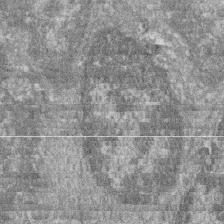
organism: Zebrafish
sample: Cilia; retinal pigment epithelium